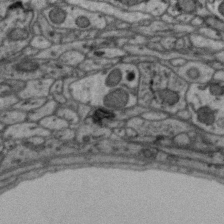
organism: Zebra finch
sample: Brain